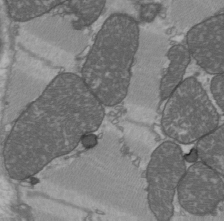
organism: C57BL Mouse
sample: Heart